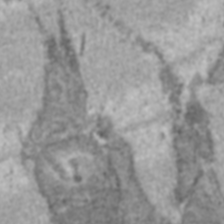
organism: C57BL Mouse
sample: Heart